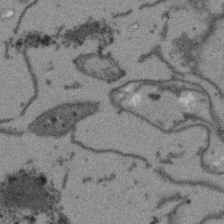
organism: Arabidopsis thaliana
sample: Root tip